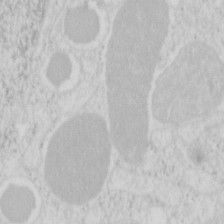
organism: Mouse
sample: Pancreas